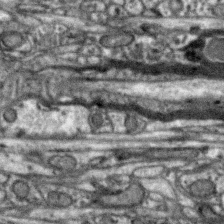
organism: Zebra finch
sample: Brain